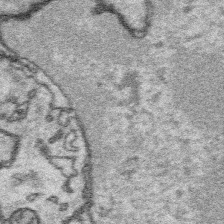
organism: Platynereis dumerilii